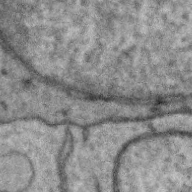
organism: Zebra finch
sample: Brain